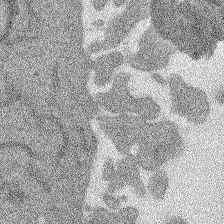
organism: Human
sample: HeLa cells